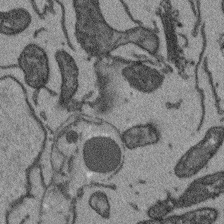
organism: Arabidopsis thaliana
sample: Root tip